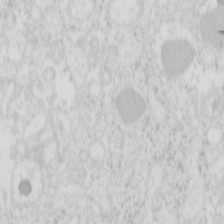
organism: Mouse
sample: Pancreas